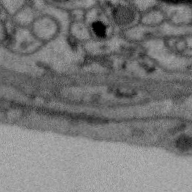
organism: Zebra finch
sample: Brain